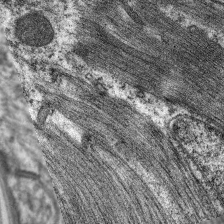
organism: C. elegans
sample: Pharynx